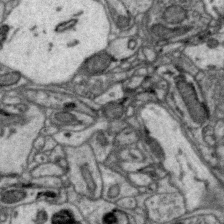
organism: Zebra finch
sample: Brain